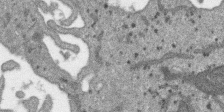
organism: Human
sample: Lung epithelial cells infected with SARS-CoV-2